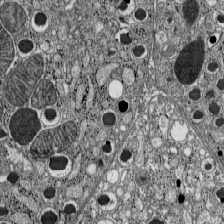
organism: C57BL Mouse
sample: Pancreatic islet